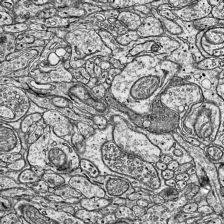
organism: Mouse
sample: Visual Cortex